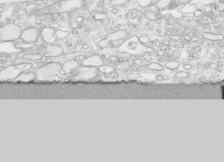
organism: Human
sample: CRL-1474